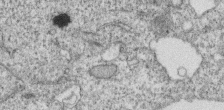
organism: Human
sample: HeLa cell HIV synapse